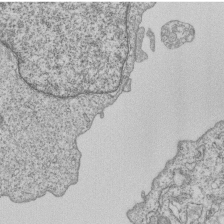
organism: Human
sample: MDA-MB-231 cells